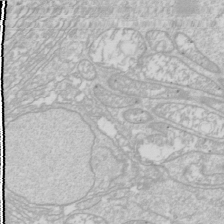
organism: Drosophila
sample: Cell division; meiosis; drosophila spermatocytes